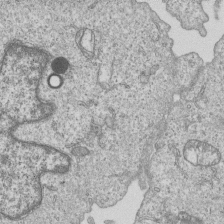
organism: Human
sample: MDA-MB-231 cells